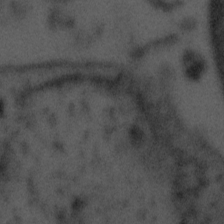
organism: Tuwongella immobilis